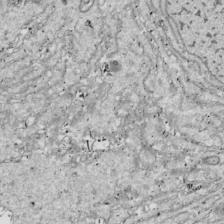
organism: Drosophila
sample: Cell division; meiosis; drosophila spermatocytes